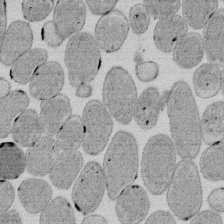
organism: E. coli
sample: Bacterial nucleoid